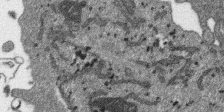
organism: Human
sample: Lung epithelial cells infected with SARS-CoV-2